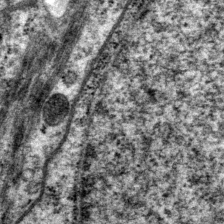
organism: P. pacificus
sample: Pharynx